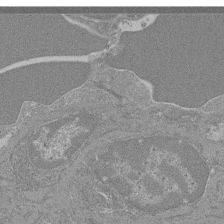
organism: Mouse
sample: Glomerulus